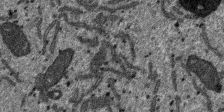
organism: Human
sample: Lung epithelial cells infected with SARS-CoV-2